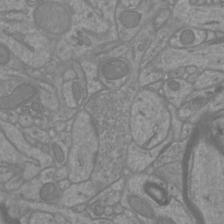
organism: Mouse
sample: Cortical neurons